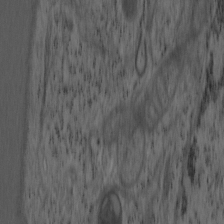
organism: Human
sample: HeLa cells